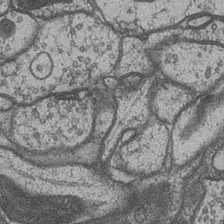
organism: Drosophila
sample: Optic medulla